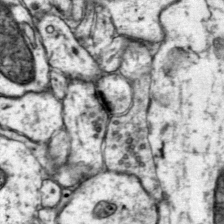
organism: Mouse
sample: Primary visual cortex